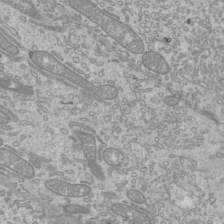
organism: Mouse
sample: Cilia; mouse epididymis